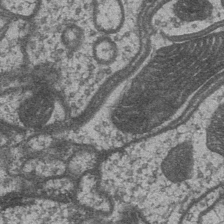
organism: Drosophila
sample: Optic medulla